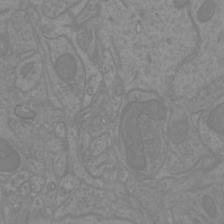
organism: Mouse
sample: Cortical neurons